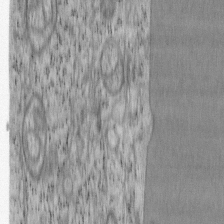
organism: Human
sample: HeLa cells